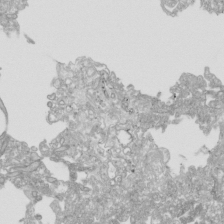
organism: Human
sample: Mitochondria in HCT116 cells